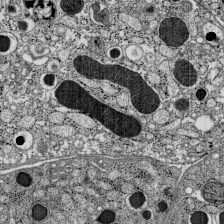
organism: C57BL Mouse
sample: Pancreatic islet